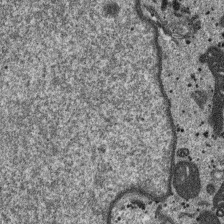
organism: Human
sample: Lung epithelial cells infected with SARS-CoV-2